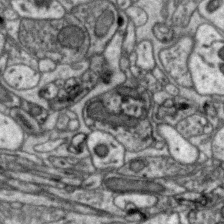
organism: Zebra finch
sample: Brain